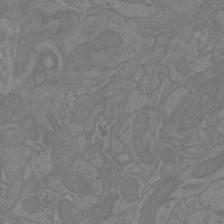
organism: Mouse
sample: Cortical neurons